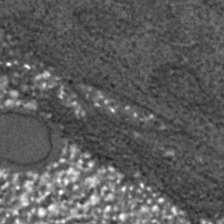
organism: C. elegans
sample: C. elegans embryo